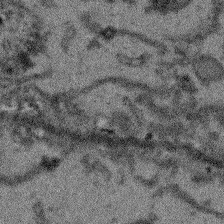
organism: Arabidopsis thaliana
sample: Root tip